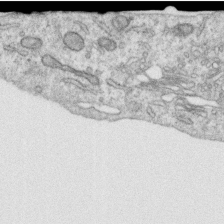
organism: Human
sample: Centriole in RPE cells